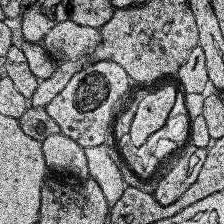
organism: Human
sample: Temporal Lobe